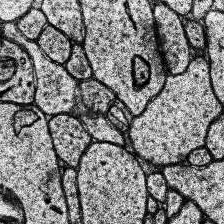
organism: Human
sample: Temporal Lobe